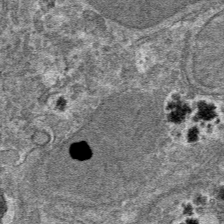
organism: Mouse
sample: Mouse hepatocytes